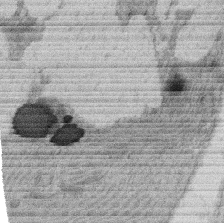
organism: Rat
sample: Salivary granule